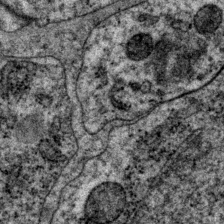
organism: P. pacificus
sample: Pharynx